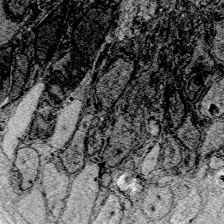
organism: Zebrafish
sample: Whole-Brain